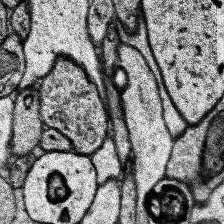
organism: Human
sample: Temporal Lobe